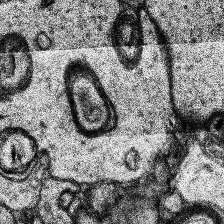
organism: Human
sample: Temporal Lobe